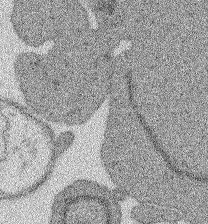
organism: Human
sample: HeLa cells